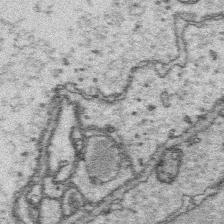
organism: Platynereis dumerilii